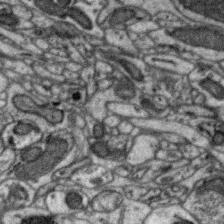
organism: Zebra finch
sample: Brain